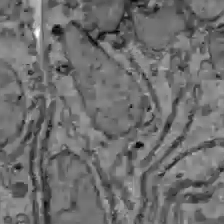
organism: C57BL Mouse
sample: Liver